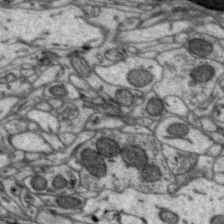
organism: Zebra finch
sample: Brain